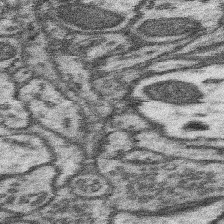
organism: Mouse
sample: Somatosensory cortex neuropil